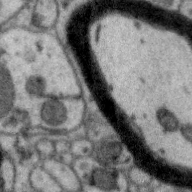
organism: Zebra finch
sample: Brain